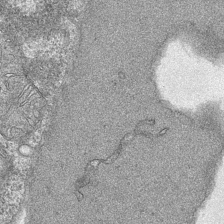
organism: Mouse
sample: CA1 Hippocampus